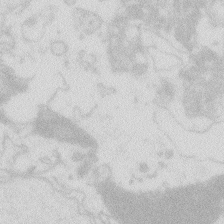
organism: Zebrafish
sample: Macrophage